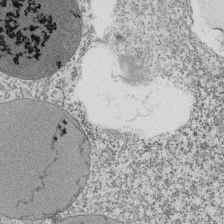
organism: Tetrahymena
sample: Cilia in tetrahymena